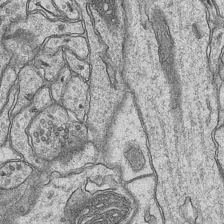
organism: Mouse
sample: CA1 Hippocampus